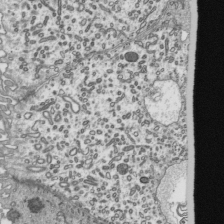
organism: Mouse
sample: Mouse epididymis efferent ductule cilia